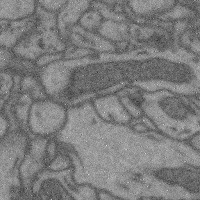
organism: Mouse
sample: Cerebral cortex